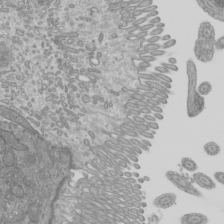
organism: Mouse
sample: Cilia; mouse epididymis